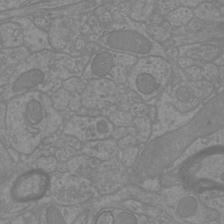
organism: Mouse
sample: Cortical neurons